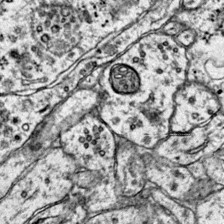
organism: Mouse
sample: Primary visual cortex